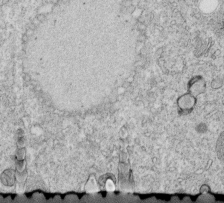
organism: C. elegans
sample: C. elegans embryo early stage